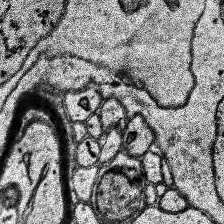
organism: Human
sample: Temporal Lobe